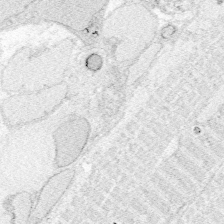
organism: Zebrafish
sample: Whole-Brain